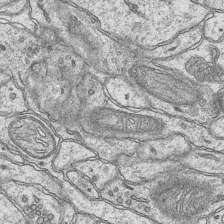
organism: Mouse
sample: CA1 Hippocampus